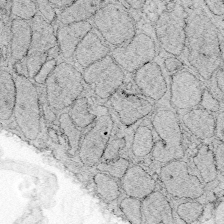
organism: Zebrafish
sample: Whole-Brain